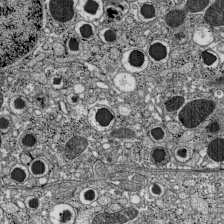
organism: C57BL Mouse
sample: Pancreatic islet